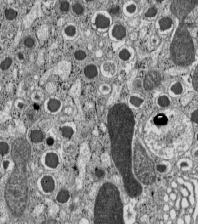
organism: C57BL Mouse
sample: Pancreatic islet